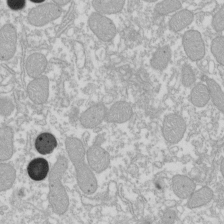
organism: Xenopus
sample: Cilia; centrioles in frog embryo cells